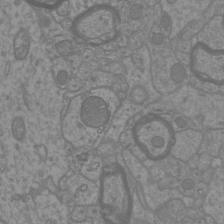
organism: Mouse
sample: Cortical neurons